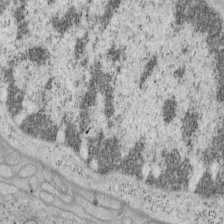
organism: Mouse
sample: OT-I killer T cells with ID8 ovarian cancer cells